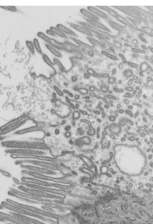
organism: Mouse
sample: Mouse epididymis efferent ductule cilia